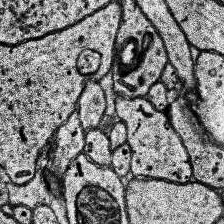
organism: Human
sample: Temporal Lobe